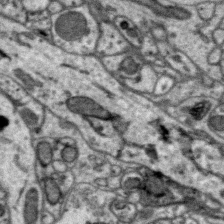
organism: Zebra finch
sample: Brain